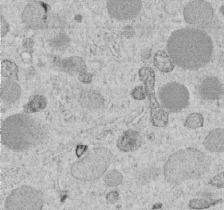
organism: C. elegans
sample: C. elegans embryo early stage